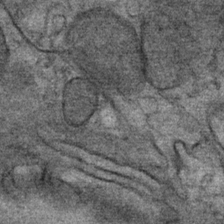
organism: Mouse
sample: Mouse Salivary gland